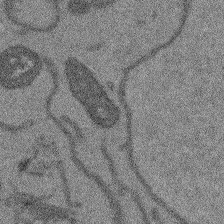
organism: Arabidopsis thaliana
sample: Root tip